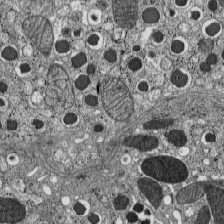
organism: C57BL Mouse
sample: Pancreatic islet